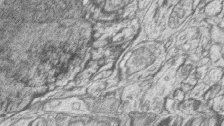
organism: Zebrafish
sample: synaptic ribbons in rod cells and cone cells